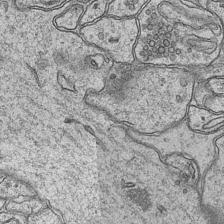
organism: Mouse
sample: CA1 Hippocampus